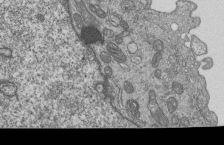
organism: Human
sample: MDA-MB-231 cells